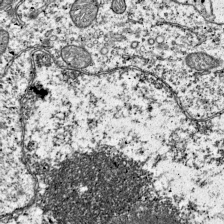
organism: Mouse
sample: Visual Cortex